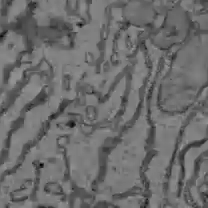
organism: C57BL Mouse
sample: Liver